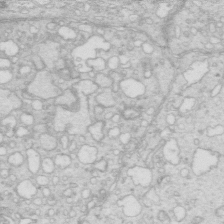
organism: Mouse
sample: Multiciliated cells